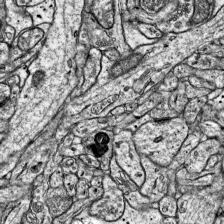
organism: Mouse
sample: Visual Cortex